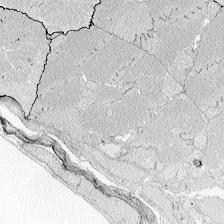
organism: Zebrafish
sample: Whole-Brain